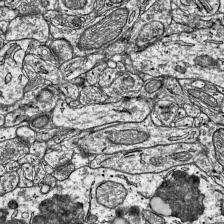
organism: Mouse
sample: Visual Cortex